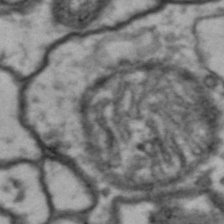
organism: Drosophila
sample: Brain